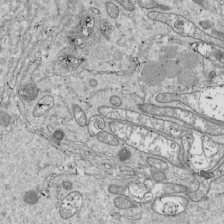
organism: Drosophila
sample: Cell division; meiosis; drosophila spermatocytes